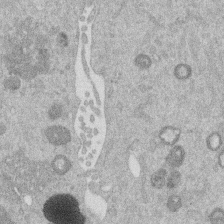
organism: Mouse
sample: Dividing mouse embryo 1 cell stage